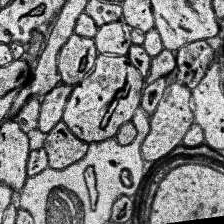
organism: Human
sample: Temporal Lobe